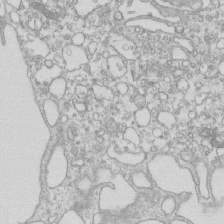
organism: Mouse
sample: Macrophages